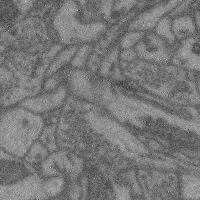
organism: Mouse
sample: Cerebral cortex